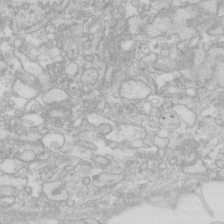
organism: Human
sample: Fibroblast cells